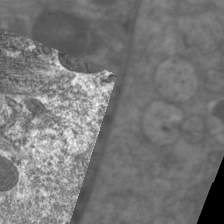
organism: C. elegans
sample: Pharynx